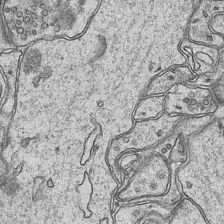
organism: Mouse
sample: CA1 Hippocampus